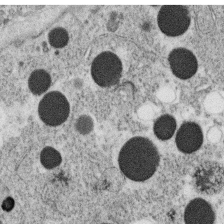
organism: C. elegans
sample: C. elegans oocyte; sperm cells